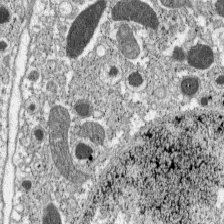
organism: C57BL Mouse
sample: Pancreatic islet